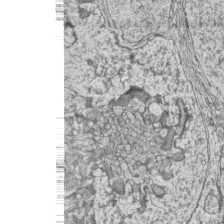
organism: Zebrafish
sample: synaptic ribbons in rod cells and cone cells